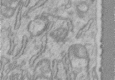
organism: Human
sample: Centriole in RPE cells